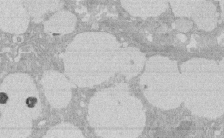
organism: Rat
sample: Salivary granule